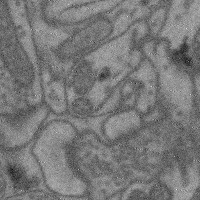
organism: Mouse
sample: Cerebral cortex